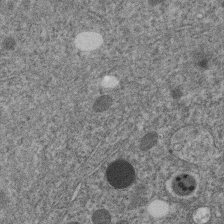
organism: C. elegans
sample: C. elegans embryo early stage